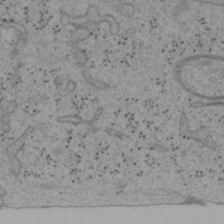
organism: Human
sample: HeLa cells